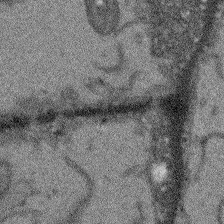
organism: Arabidopsis thaliana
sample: Root tip